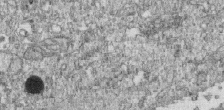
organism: Human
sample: HeLa cell HIV synapse